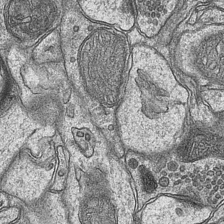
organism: Mouse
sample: CA1 Hippocampus